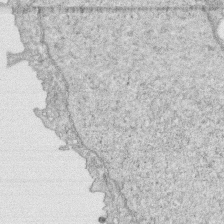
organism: Human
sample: HeLa cell HIV synapse